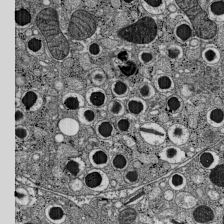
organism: C57BL Mouse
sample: Pancreatic islet